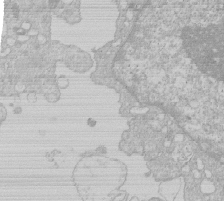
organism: Human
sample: Macrophage cells